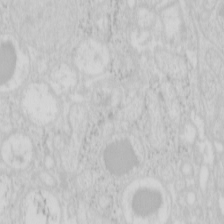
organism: Mouse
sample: Pancreas